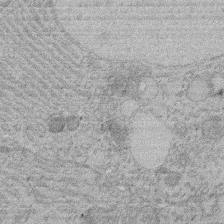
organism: Rat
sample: Salivary granule